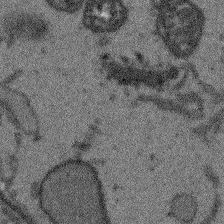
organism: Arabidopsis thaliana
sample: Root tip